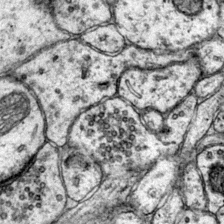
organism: Mouse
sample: Primary visual cortex